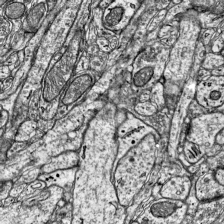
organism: Mouse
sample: Visual Cortex